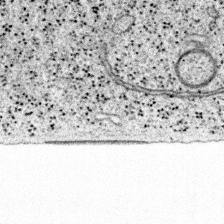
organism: Human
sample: HeLa cells